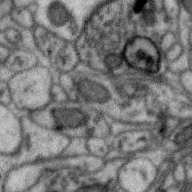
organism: Zebra finch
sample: Brain